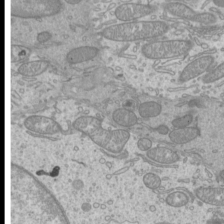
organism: Mouse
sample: Cilia; mouse epididymis